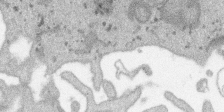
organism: Human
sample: Lung epithelial cells infected with SARS-CoV-2